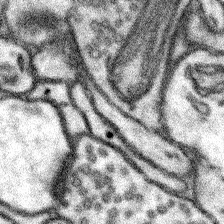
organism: Mouse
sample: Somatosensory cortex neuropil